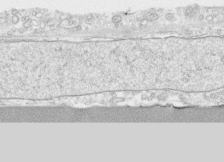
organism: Human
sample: CRL-1474